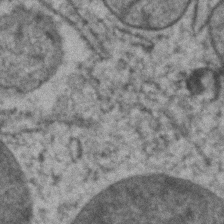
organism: Zebrafish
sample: Zebrafish embryo